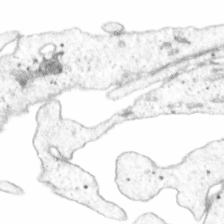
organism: Human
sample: HeLa cells